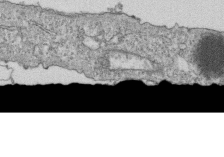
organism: Human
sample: HeLa cell HIV synapse